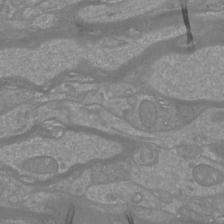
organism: Mouse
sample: Cortical neurons